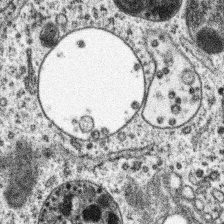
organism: Human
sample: HeLa cells